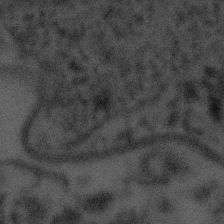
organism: Tuwongella immobilis